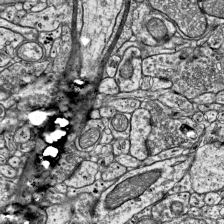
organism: Mouse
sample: Visual Cortex